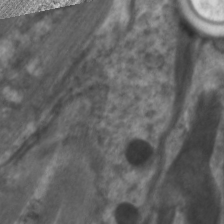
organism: C. elegans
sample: Pharynx